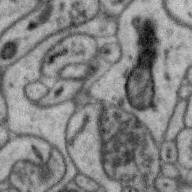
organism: Zebra finch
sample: Brain